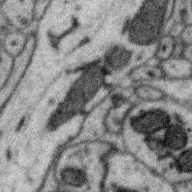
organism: Zebra finch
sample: Brain